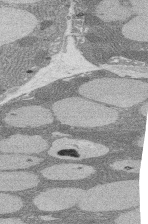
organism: Rat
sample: Salivary granule